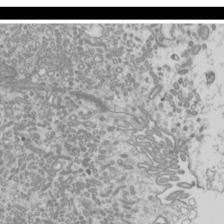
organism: Mouse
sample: Cilia; mouse epididymis